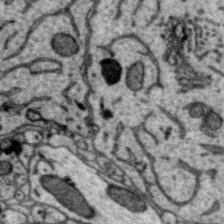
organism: Zebra finch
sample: Brain